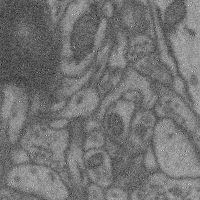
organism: Mouse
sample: Cerebral cortex